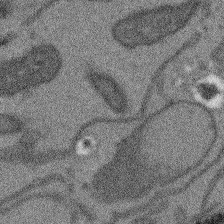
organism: Arabidopsis thaliana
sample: Root tip